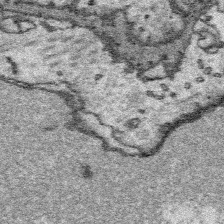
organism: Platynereis dumerilii